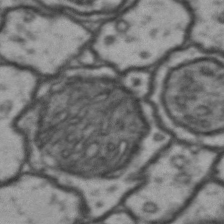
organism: Drosophila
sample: Brain